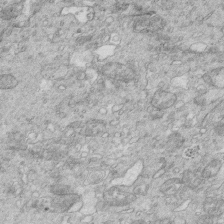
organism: Mouse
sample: Multiciliated cells